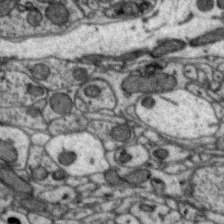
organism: Zebra finch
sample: Brain